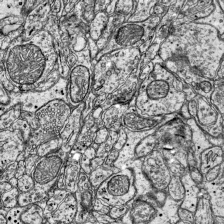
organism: Mouse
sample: Visual Cortex